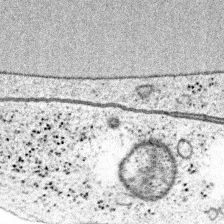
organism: Human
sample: HeLa cells